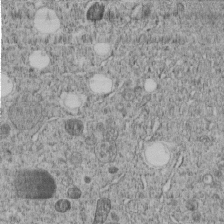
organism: C. elegans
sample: C. elegans embryo early stage